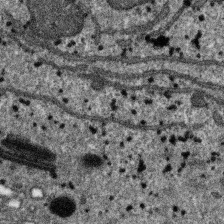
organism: Human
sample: Lung epithelial cells infected with SARS-CoV-2